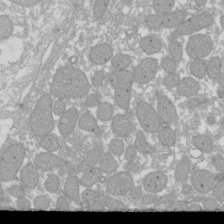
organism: Xenopus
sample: Cilia; centrioles in frog embryo cells